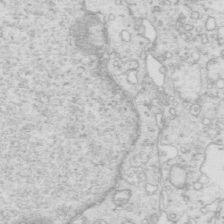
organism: Mouse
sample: Multiciliated cells